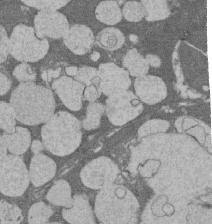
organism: Rat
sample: Salivary granule